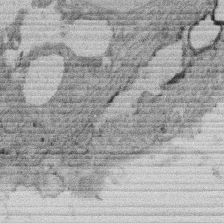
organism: Rat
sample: Salivary granule